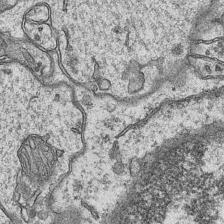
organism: Mouse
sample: CA1 Hippocampus